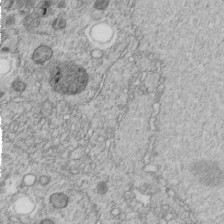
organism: C. elegans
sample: C. elegans embryo early stage